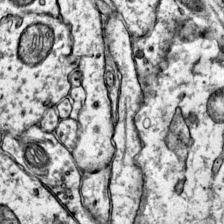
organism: Mouse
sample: Primary visual cortex